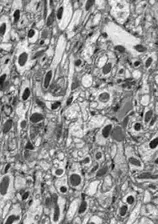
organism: Drosophila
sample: Optic lobe